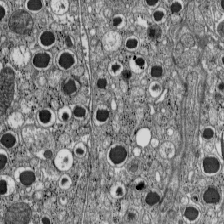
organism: C57BL Mouse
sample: Pancreatic islet